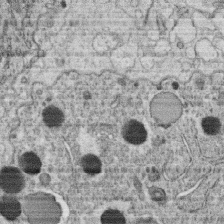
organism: C. elegans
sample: C. elegans oocyte; sperm cells